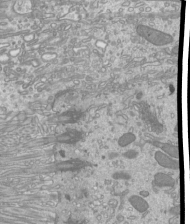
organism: Mouse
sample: Cilia; mouse epididymis